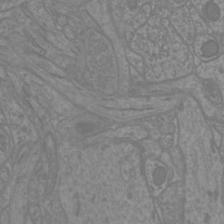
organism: Mouse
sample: Cortical neurons